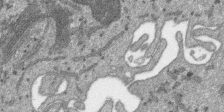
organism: Human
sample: Lung epithelial cells infected with SARS-CoV-2